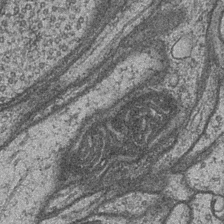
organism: Drosophila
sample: Optic medulla